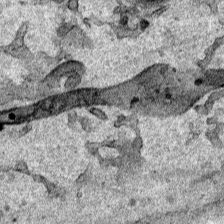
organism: Human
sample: Mitochondria in HCT116 cells